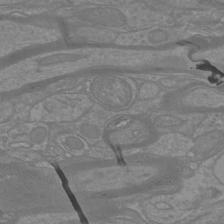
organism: Mouse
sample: Cortical neurons